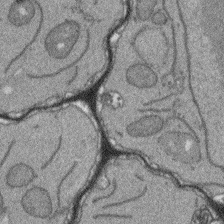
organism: Arabidopsis thaliana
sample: Root tip